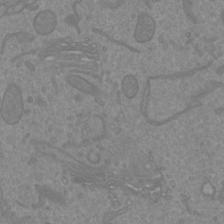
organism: Mouse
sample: Cortical neurons